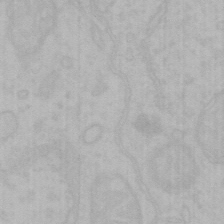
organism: Mouse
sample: Choroid plexus